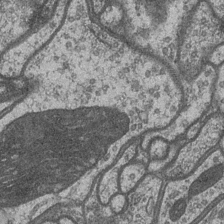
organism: Drosophila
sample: Optic medulla